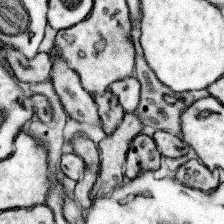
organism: Mouse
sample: Somatosensory cortex neuropil